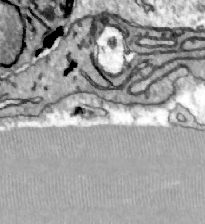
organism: Zebrafish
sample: Actinotrichia fibers